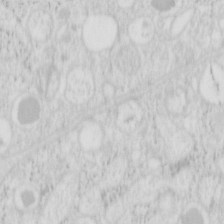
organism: Mouse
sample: Pancreas